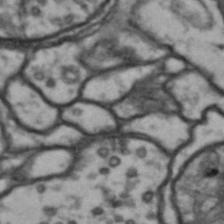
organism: Drosophila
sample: Brain